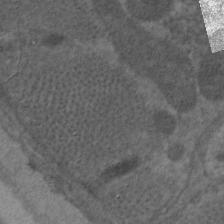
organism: C. elegans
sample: Pharynx